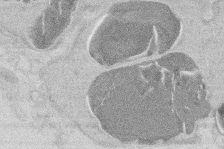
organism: Mouse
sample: T cell stromal cell synapse